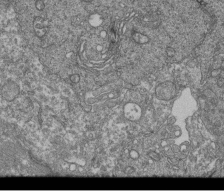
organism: Human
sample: Retinal organoid Rod and Cone cells